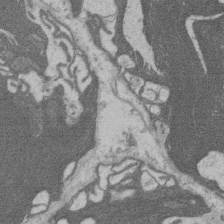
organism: Rat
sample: Salivary granule